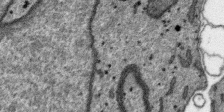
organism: Human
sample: Lung epithelial cells, uninfected (mock) control